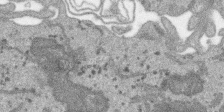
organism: Human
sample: Lung epithelial cells infected with SARS-CoV-2